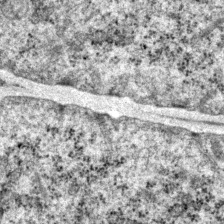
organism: P. pacificus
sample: Pharynx